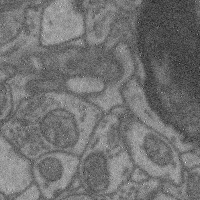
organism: Mouse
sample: Cerebral cortex